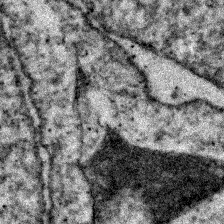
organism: Zebrafish